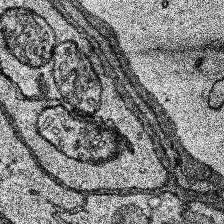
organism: Human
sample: Temporal Lobe